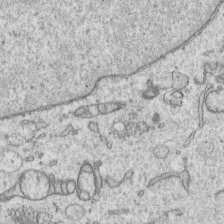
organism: Human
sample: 1205lu cells